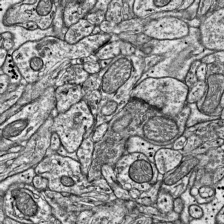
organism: Mouse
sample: Visual Cortex